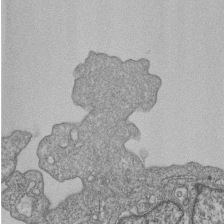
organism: Human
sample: MDA-MB-231 cells